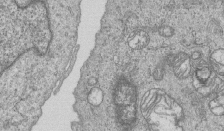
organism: Human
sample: MDA-MB-231 cells